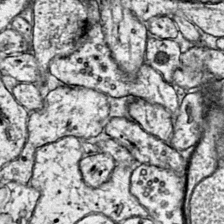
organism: Mouse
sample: Primary visual cortex